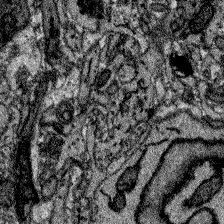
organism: Zebrafish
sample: Larval olfactory bulb